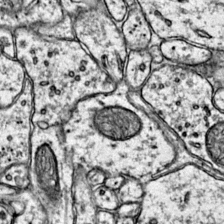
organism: Mouse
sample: Primary visual cortex